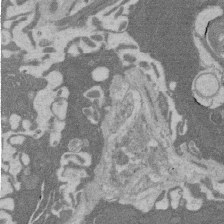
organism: Rat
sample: Salivary granule